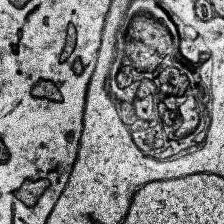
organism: Human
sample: Temporal Lobe